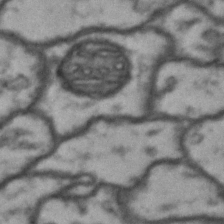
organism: Drosophila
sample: Brain